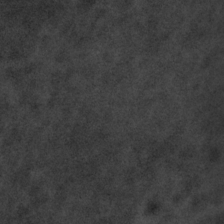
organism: Tuwongella immobilis